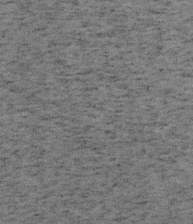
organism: Mouse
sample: OT-I killer T cells with ID8 ovarian cancer cells